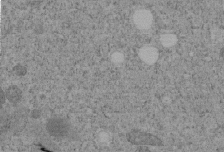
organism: C. elegans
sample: C. elegans embryo early stage